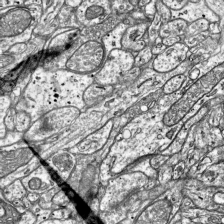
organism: Mouse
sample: Visual Cortex